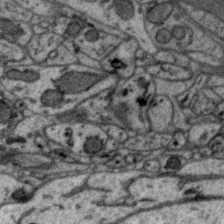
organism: Zebra finch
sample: Brain